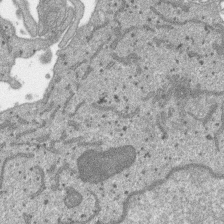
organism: Human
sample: Lung epithelial cells infected with SARS-CoV-2